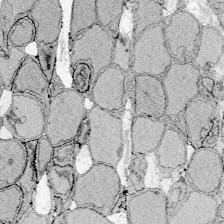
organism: Zebrafish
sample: Whole-Brain